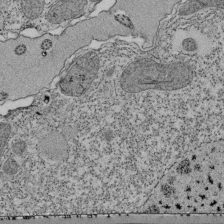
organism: Tetrahymena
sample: Cilia in tetrahymena